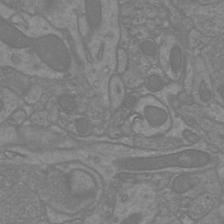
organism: Mouse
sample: Cortical neurons